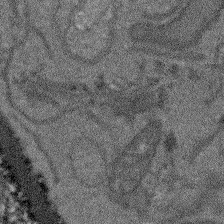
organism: Arabidopsis thaliana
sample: Root tip